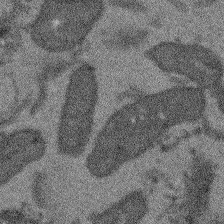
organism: Arabidopsis thaliana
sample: Root tip